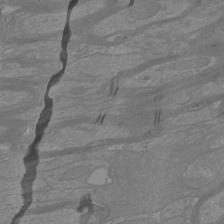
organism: Mouse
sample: Cortical neurons